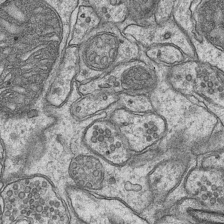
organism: Mouse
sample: CA1 Hippocampus